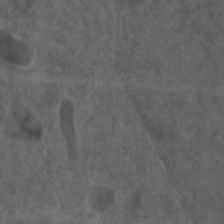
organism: Zebrafish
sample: Zebrafish embryo